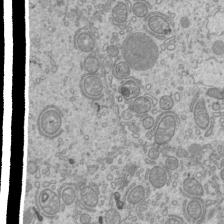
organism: Mouse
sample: Cilia; mouse epididymis